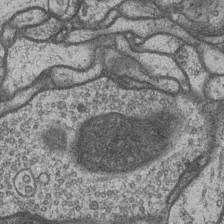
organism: Drosophila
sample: Optic medulla